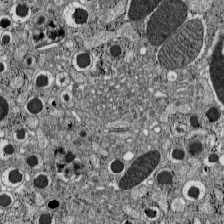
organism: C57BL Mouse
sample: Pancreatic islet